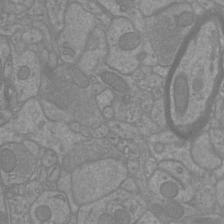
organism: Mouse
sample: Cortical neurons